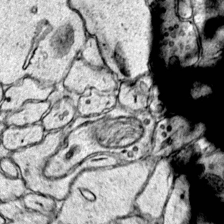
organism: Mouse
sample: Primary visual cortex